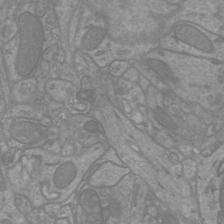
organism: Mouse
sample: Cortical neurons